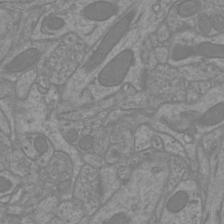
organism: Mouse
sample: Cortical neurons